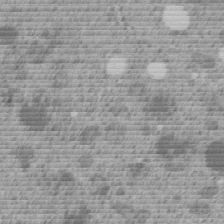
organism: C. elegans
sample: C. elegans embryo early stage